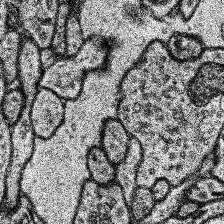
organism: Human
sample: Temporal Lobe